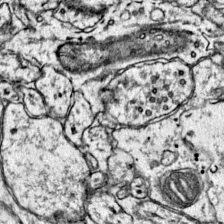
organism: Mouse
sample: Primary visual cortex